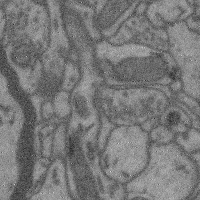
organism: Mouse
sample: Cerebral cortex